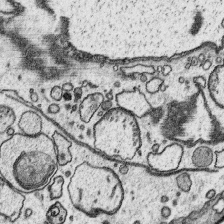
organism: Platynereis dumerilii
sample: Parapodia